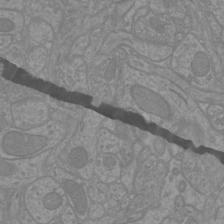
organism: Mouse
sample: Cortical neurons